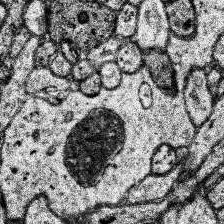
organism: Human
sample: Temporal Lobe